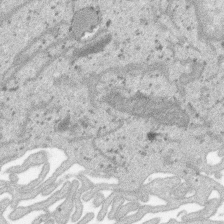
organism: Human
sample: Lung epithelial cells infected with SARS-CoV-2